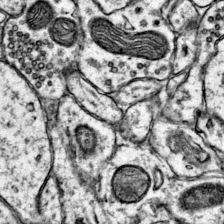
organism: Mouse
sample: Primary visual cortex